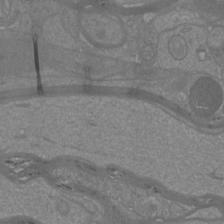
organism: Mouse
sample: Cortical neurons